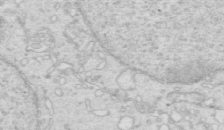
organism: Mouse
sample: Multiciliated cells